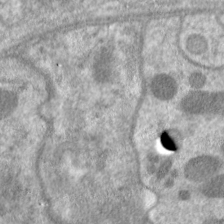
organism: C. elegans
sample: Pharynx